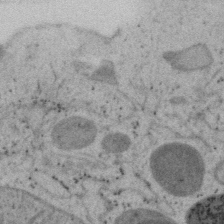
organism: Human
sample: HeLa cells